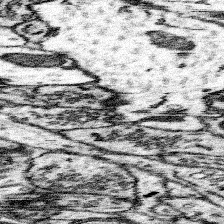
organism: Mouse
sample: Somatosensory cortex neuropil